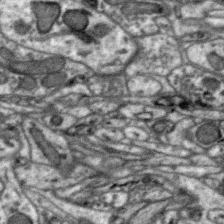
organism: Zebra finch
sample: Brain